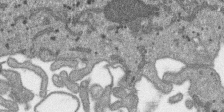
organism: Human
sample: Lung epithelial cells infected with SARS-CoV-2